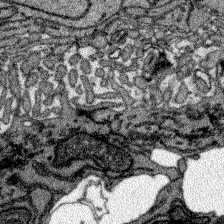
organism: Zebrafish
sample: Larval olfactory bulb